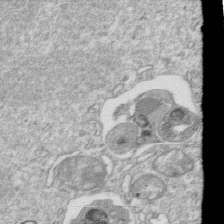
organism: Mouse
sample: Activated OT-1 CD8+ T cells